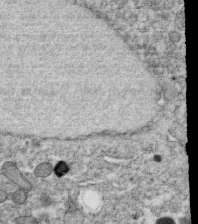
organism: C. elegans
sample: C. elegans oocyte; sperm cells